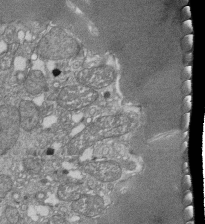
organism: Tetrahymena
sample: Cilia in tetrahymena